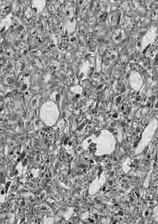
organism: Drosophila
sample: Optic lobe